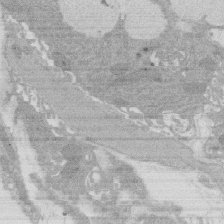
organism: Rat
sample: Salivary granule